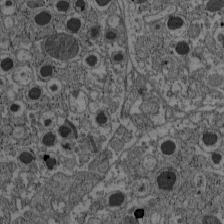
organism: C57BL Mouse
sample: Pancreatic islet